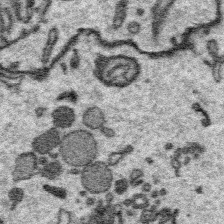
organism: Platynereis dumerilii